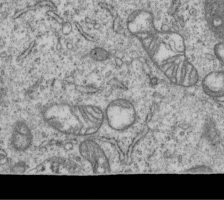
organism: Human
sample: MDA-MB-231 cells